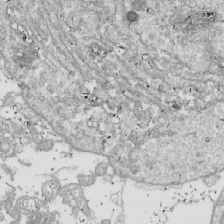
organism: Drosophila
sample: Cell division; meiosis; drosophila spermatocytes